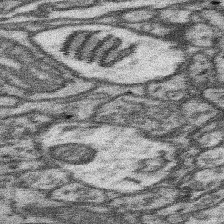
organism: Mouse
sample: Somatosensory cortex neuropil